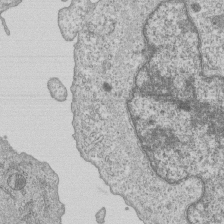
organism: Human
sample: MDA-MB-231 cells